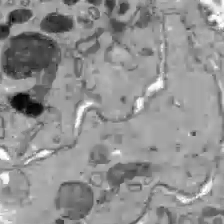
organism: C57BL Mouse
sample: Liver